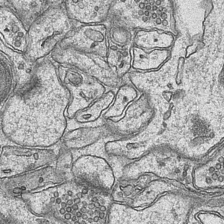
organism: Mouse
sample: CA1 Hippocampus